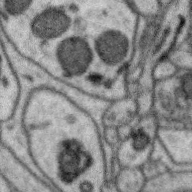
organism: Zebra finch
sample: Brain